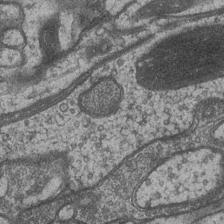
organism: Drosophila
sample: Optic medulla